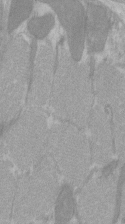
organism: C57BL Mouse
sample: Tibialis anterior muscle cell